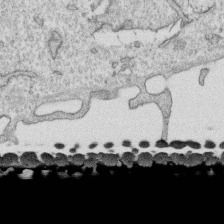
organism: Human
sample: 1205lu cells